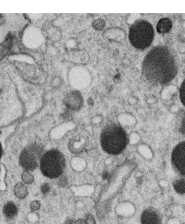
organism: C. elegans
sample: C. elegans oocyte; sperm cells